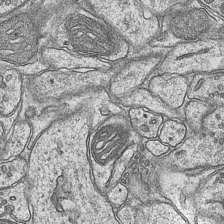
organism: Mouse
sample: CA1 Hippocampus